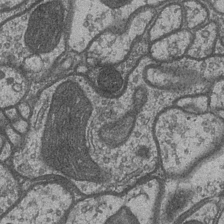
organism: Drosophila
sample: Optic medulla